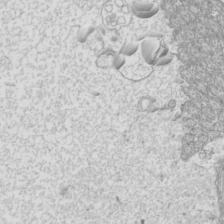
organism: Mouse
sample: Cilia; mouse epididymis